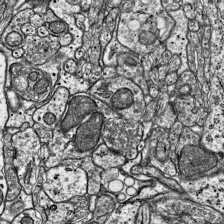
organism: Mouse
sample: Visual Cortex